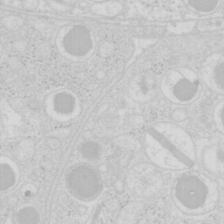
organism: Mouse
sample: Pancreas